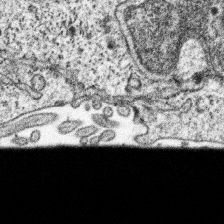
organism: Human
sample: HeLa cells